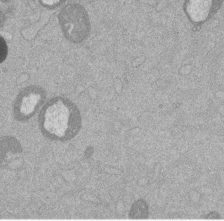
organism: Mouse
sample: Dividing mouse embryo 1 cell stage